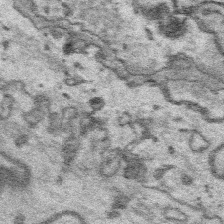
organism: Platynereis dumerilii